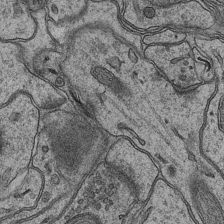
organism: Mouse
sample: CA1 Hippocampus